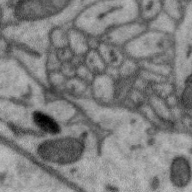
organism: Zebra finch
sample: Brain